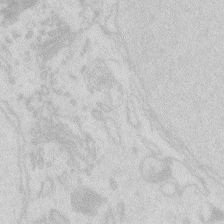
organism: Zebrafish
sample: Macrophage